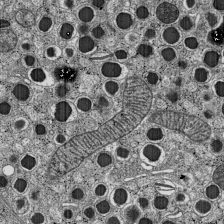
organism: C57BL Mouse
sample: Pancreatic islet